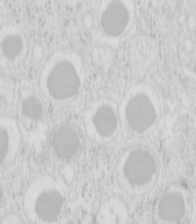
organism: Mouse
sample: Pancreas